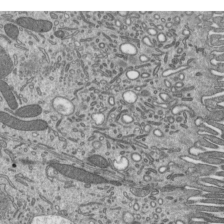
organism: Mouse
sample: Mouse epididymis efferent ductule cilia